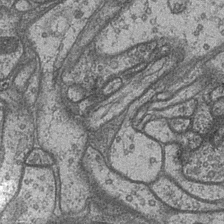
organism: Drosophila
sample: Optic medulla